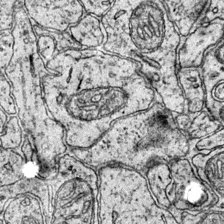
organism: Mouse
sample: Primary visual cortex